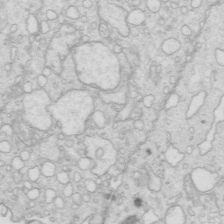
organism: Mouse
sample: Multiciliated cells